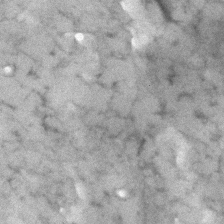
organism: Human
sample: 1205lu cells